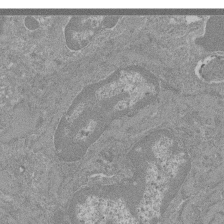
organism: Mouse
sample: Glomerulus